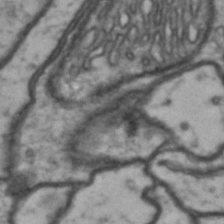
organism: Drosophila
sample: Brain